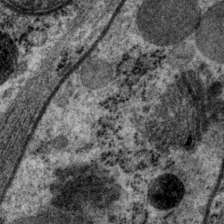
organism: P. pacificus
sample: Pharynx